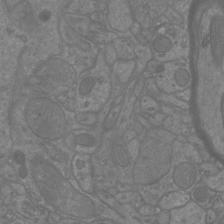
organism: Mouse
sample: Cortical neurons